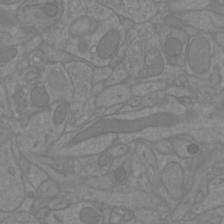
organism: Mouse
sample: Cortical neurons